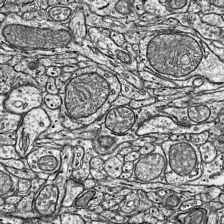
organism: Mouse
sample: Visual Cortex